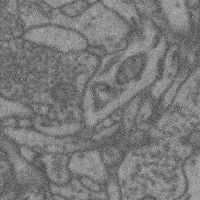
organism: Mouse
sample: Cerebral cortex